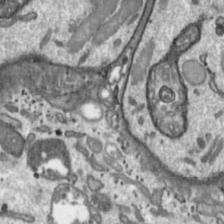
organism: Toxoplasma gondii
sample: Parasites in a vacuole inside a host cell